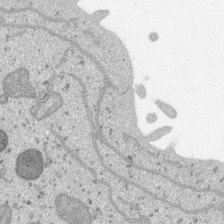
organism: Human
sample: Lung epithelial cells infected with SARS-CoV-2